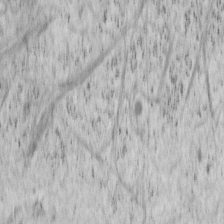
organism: Human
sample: HeLa cells